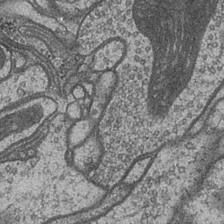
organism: Drosophila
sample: Optic medulla